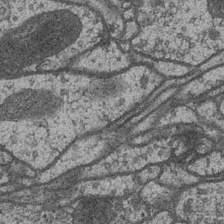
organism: Drosophila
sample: Optic medulla